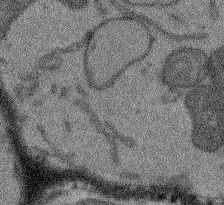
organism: Arabidopsis thaliana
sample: Root tip